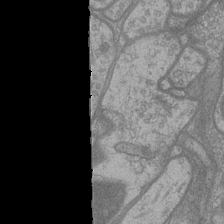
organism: Drosophila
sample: Optic medulla